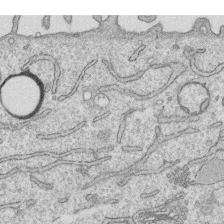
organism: Human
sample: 1205lu cells